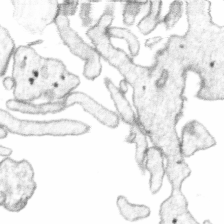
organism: Human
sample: HeLa cells